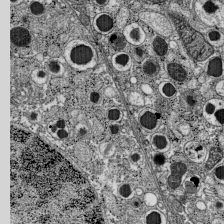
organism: C57BL Mouse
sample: Pancreatic islet